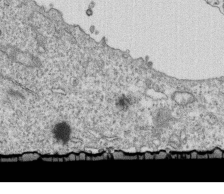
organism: Human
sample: HeLa cell HIV synapse